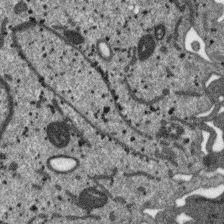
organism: Human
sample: Lung epithelial cells infected with SARS-CoV-2